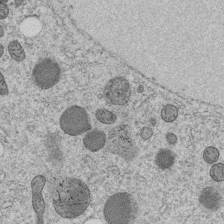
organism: C. elegans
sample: C. elegans embryo early stage